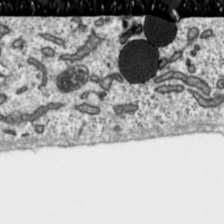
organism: Toxoplasma gondii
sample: Parasites in a vacuole inside a host cell